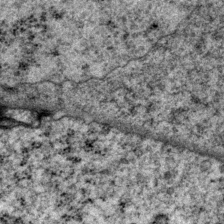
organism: P. pacificus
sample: Pharynx